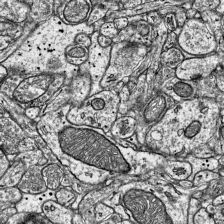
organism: Mouse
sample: Visual Cortex